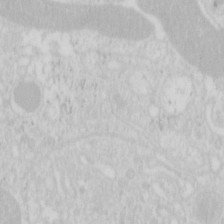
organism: Mouse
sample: Pancreas